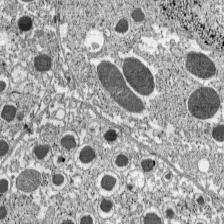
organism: C57BL Mouse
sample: Pancreatic islet